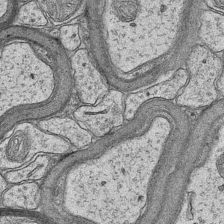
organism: Mouse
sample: CA1 Hippocampus